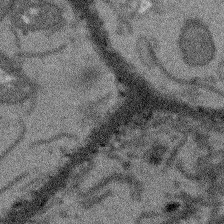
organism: Arabidopsis thaliana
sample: Root tip